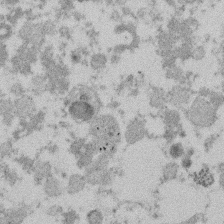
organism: Mouse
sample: Dividing mouse embryo 1 cell stage